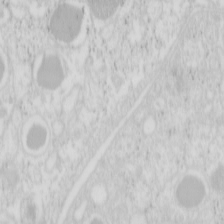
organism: Mouse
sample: Pancreas